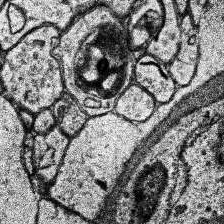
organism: Human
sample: Temporal Lobe